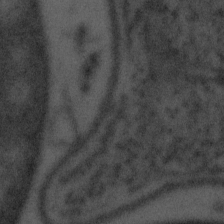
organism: Tuwongella immobilis